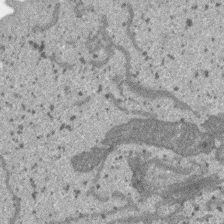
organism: Human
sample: Lung epithelial cells infected with SARS-CoV-2